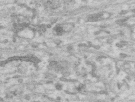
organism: Human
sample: Centriole in RPE cells